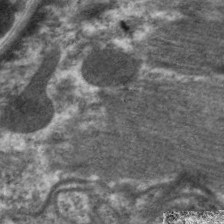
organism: C. elegans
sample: Pharynx